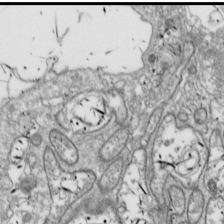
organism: Drosophila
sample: Cell division; meiosis; drosophila spermatocytes